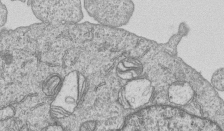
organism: Human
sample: MDA-MB-231 cells